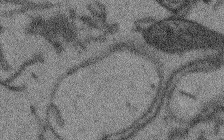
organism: Arabidopsis thaliana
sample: Root tip